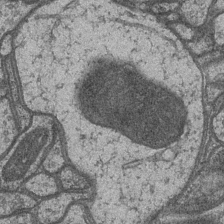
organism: Drosophila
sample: Optic medulla